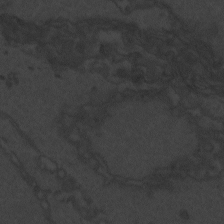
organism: Zebrafish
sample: Macrophage infected with Toxoplasma gondii